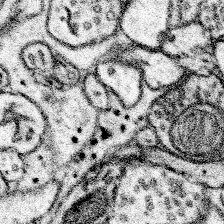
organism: Mouse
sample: Somatosensory cortex neuropil